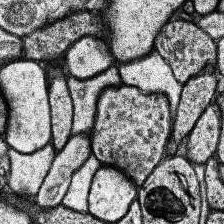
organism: Human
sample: Temporal Lobe